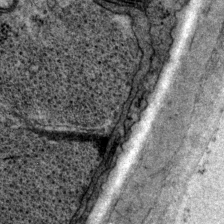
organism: P. pacificus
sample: Pharynx